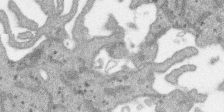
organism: Human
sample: Lung epithelial cells infected with SARS-CoV-2